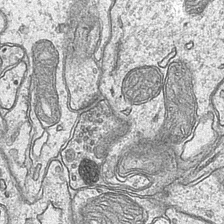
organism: Mouse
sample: CA1 Hippocampus